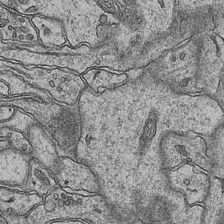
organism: Mouse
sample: CA1 Hippocampus